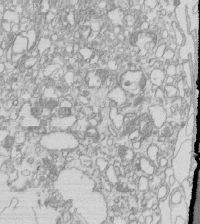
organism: Mouse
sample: Macrophages